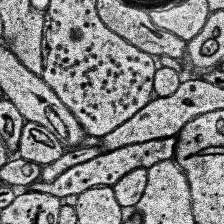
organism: Human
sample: Temporal Lobe